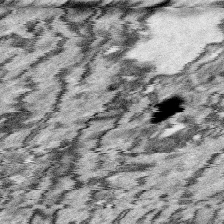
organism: Human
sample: HeLa cells